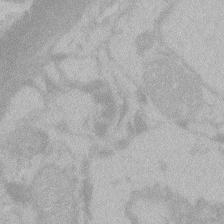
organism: Zebrafish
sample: Macrophage infected with Toxoplasma gondii